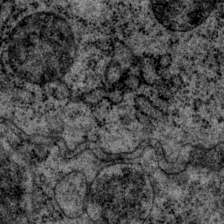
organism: P. pacificus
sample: Pharynx